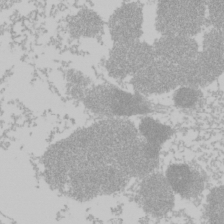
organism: Mouse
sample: Cancer cell death in ED-1 cells